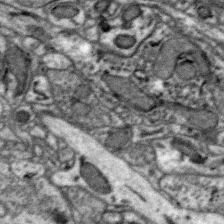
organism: Zebra finch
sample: Brain